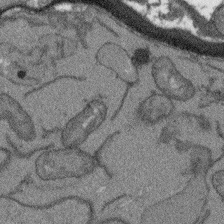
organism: Arabidopsis thaliana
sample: Root tip